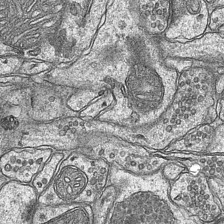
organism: Mouse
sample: CA1 Hippocampus